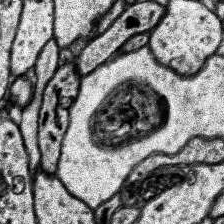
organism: Human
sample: Temporal Lobe